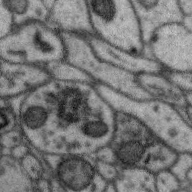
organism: Zebra finch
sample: Brain